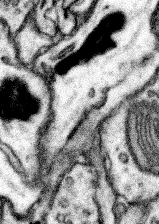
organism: Mouse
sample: Somatosensory cortex neuropil